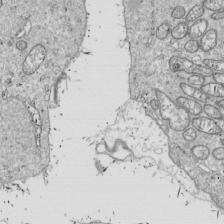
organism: Drosophila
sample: Cell division; meiosis; drosophila spermatocytes